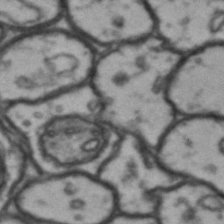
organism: Drosophila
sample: Brain